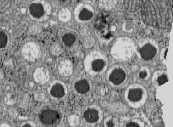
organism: C57BL Mouse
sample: Pancreatic islet